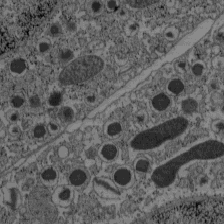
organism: C57BL Mouse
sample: Pancreatic islet